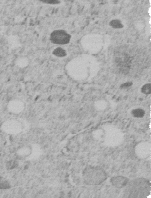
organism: C. elegans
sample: C. elegans embryo early stage